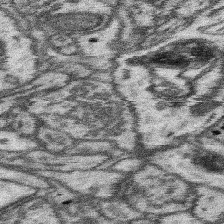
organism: Mouse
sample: Somatosensory cortex neuropil